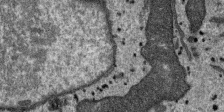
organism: Human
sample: Lung epithelial cells, uninfected (mock) control